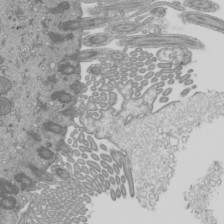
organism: Mouse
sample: Cilia; mouse epididymis